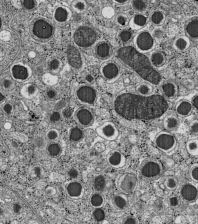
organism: C57BL Mouse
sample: Pancreatic islet